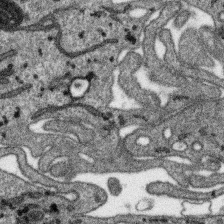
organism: Human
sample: Lung epithelial cells infected with SARS-CoV-2